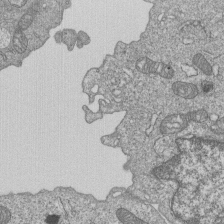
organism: Human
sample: MDA-MB-231 cells